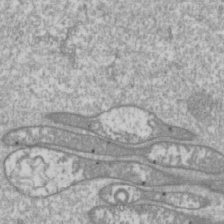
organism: Drosophila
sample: Cell division; meiosis; drosophila spermatocytes